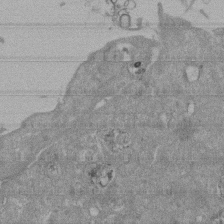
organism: Mouse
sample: ED-1 cell nuclei; centrioles